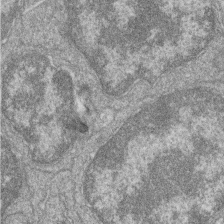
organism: Zebrafish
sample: Cilia; retinal pigment epithelium